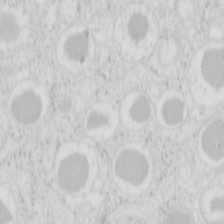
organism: Mouse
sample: Pancreas